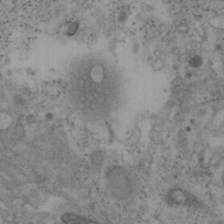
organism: Mouse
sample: OT-I killer T cells with ID8 ovarian cancer cells